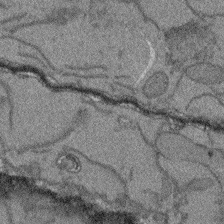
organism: Arabidopsis thaliana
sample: Root tip